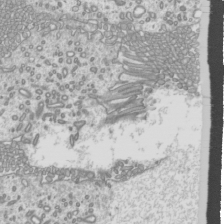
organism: Mouse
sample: Cilia; mouse epididymis